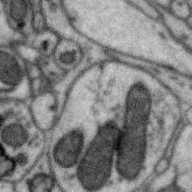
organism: Zebra finch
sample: Brain